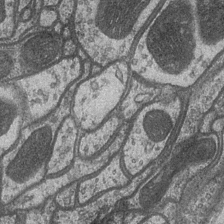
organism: Drosophila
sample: Optic medulla